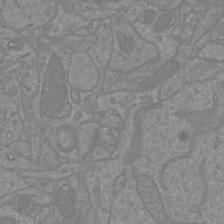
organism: Mouse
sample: Cortical neurons